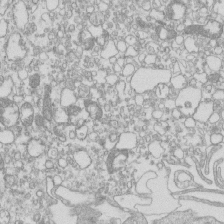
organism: Mouse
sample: Macrophages